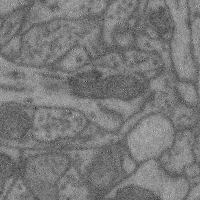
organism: Mouse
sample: Cerebral cortex